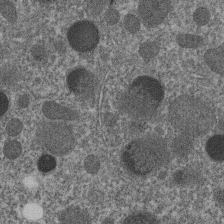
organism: C. elegans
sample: C. elegans embryo early stage